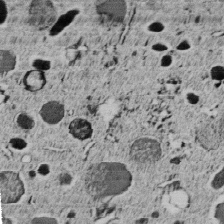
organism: C. elegans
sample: C. elegans embryo early stage